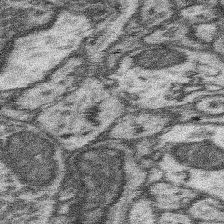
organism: Mouse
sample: Somatosensory cortex neuropil